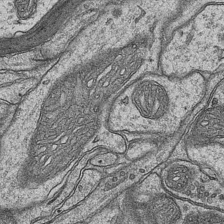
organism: Mouse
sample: CA1 Hippocampus